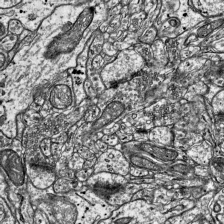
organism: Mouse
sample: Visual Cortex